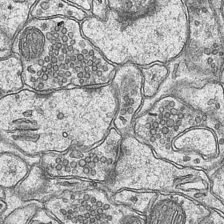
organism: Mouse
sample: CA1 Hippocampus